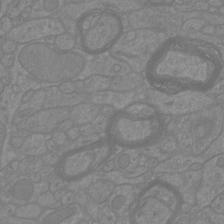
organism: Mouse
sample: Cortical neurons